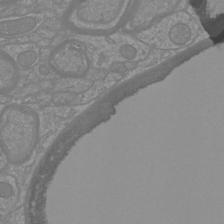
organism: Mouse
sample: Cortical neurons